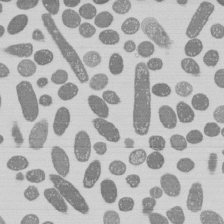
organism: E. coli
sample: Bacterial nucleoid